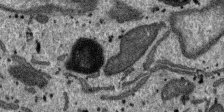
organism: Human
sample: Lung epithelial cells, uninfected (mock) control